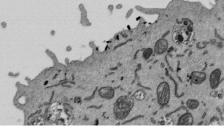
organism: Mouse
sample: ED-1 cell nuclei; centrioles